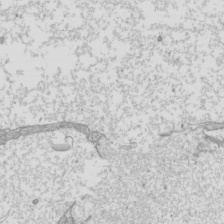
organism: Mouse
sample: Cilia; mouse epididymis